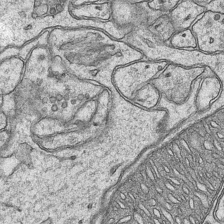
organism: Mouse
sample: CA1 Hippocampus